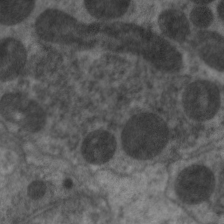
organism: C. elegans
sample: Pharynx